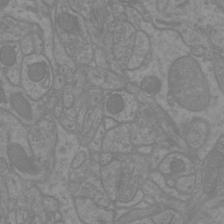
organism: Mouse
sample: Cortical neurons